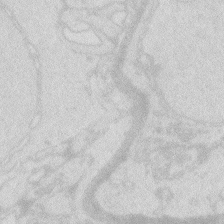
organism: Zebrafish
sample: Macrophage